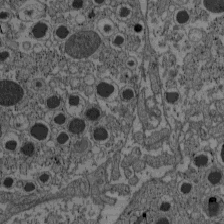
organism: C57BL Mouse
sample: Pancreatic islet